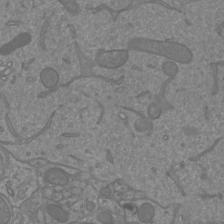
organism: Mouse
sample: Cortical neurons